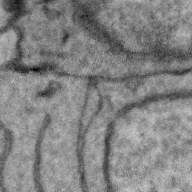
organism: Zebra finch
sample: Brain